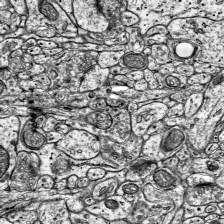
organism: Mouse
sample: Visual Cortex